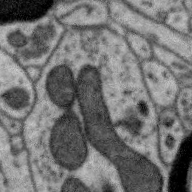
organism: Zebra finch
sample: Brain